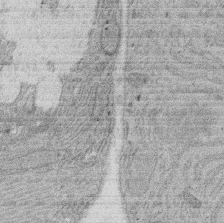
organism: Rat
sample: Salivary granule